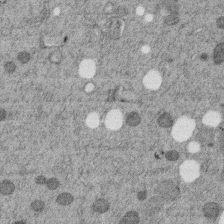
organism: C. elegans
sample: C. elegans embryo early stage